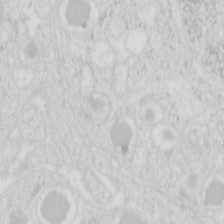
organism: Mouse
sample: Pancreas